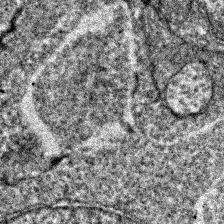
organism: Zebrafish